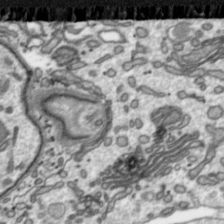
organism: Toxoplasma gondii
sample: Parasites in a vacuole inside a host cell